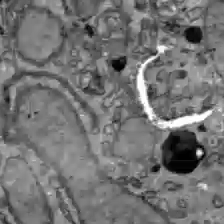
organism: C57BL Mouse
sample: Liver